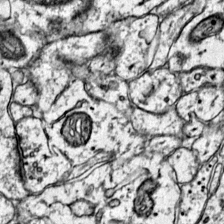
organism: Mouse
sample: Primary visual cortex